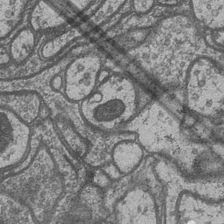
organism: Drosophila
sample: Optic medulla